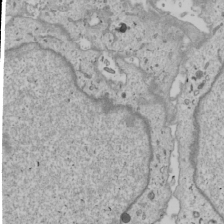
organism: Human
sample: Mitochondria in U2OS cells